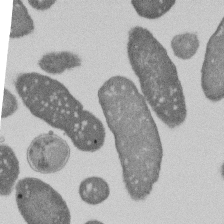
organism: E. coli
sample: Bacterial nucleoid